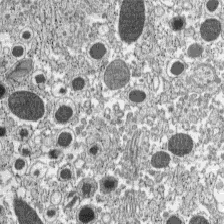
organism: C57BL Mouse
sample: Pancreatic islet